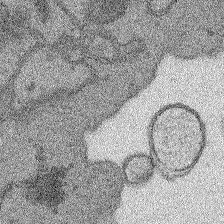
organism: Human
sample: HeLa cells